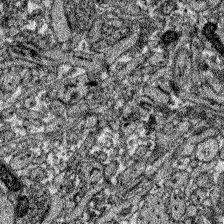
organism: Zebrafish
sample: Larval olfactory bulb